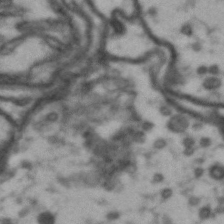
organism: Drosophila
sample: Brain